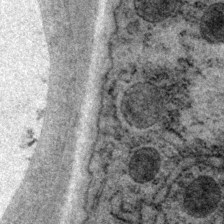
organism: P. pacificus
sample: Pharynx